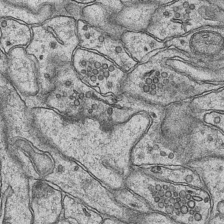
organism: Mouse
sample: CA1 Hippocampus